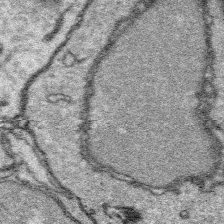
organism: Platynereis dumerilii